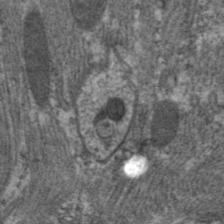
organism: C. elegans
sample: Pharynx